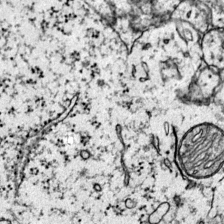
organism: Mouse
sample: Primary visual cortex